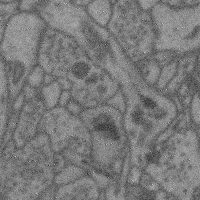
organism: Mouse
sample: Cerebral cortex